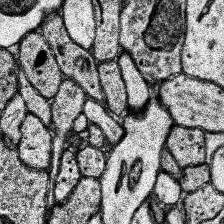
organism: Human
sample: Temporal Lobe